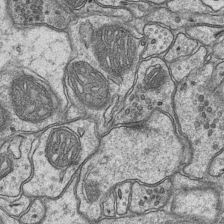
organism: Mouse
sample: CA1 Hippocampus